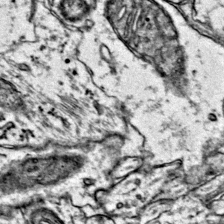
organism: Mouse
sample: Primary visual cortex